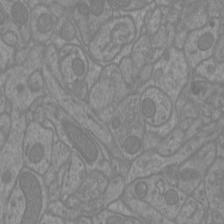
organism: Mouse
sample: Cortical neurons